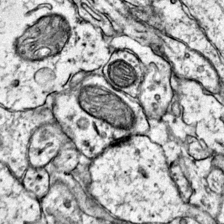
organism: Mouse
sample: Primary visual cortex